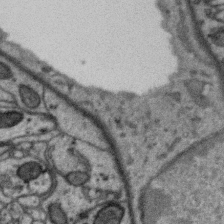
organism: Zebra finch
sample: Brain